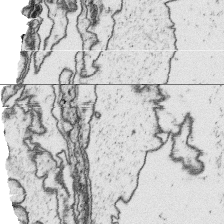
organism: Platynereis dumerilii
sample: Parapodia